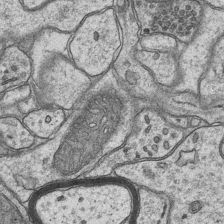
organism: Mouse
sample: CA1 Hippocampus